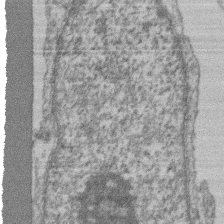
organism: Mouse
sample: T cell stromal cell synapse